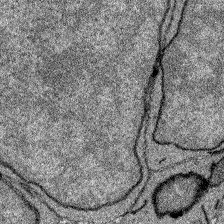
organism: Zebrafish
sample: Larval olfactory bulb